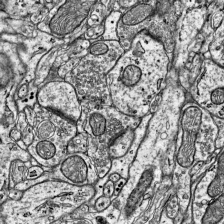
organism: Mouse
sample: Visual Cortex